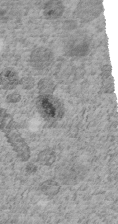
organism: C. elegans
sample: C. elegans embryo early stage